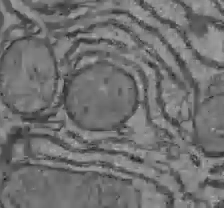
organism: C57BL Mouse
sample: Liver